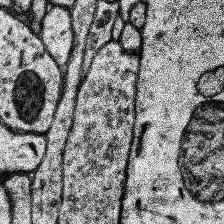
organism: Human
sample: Temporal Lobe